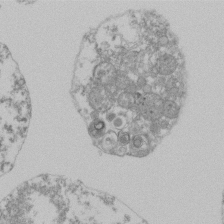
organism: Mouse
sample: Activated Pmel transgenic CD8+ T Cells